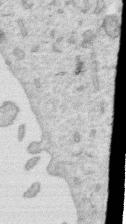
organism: Human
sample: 1205lu cells